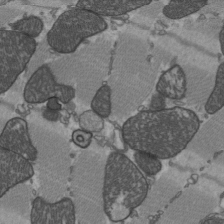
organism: C57BL Mouse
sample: Heart